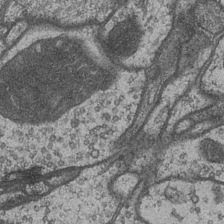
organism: Drosophila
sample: Optic medulla